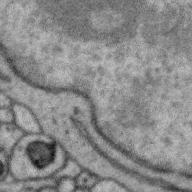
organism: Zebra finch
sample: Brain